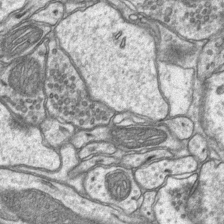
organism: Mouse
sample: CA1 Hippocampus